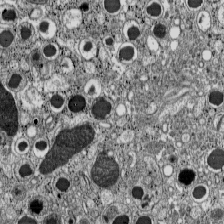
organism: C57BL Mouse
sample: Pancreatic islet